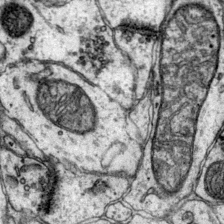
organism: Mouse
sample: Primary visual cortex